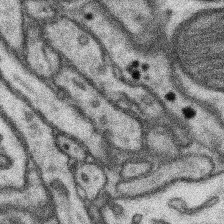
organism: Mouse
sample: Somatosensory cortex neuropil